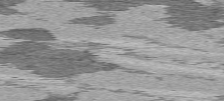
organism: C57BL Mouse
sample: Heart